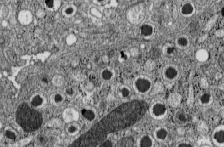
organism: C57BL Mouse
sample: Pancreatic islet